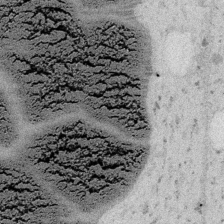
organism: Embia sp.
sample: Silk gland